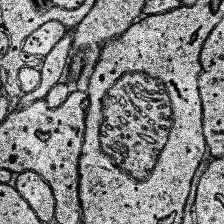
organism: Human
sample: Temporal Lobe